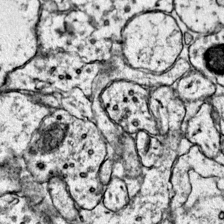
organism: Mouse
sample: Primary visual cortex